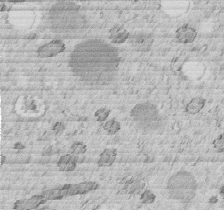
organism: C. elegans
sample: C. elegans embryo early stage